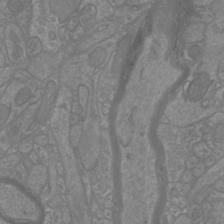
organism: Mouse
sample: Cortical neurons